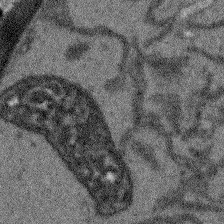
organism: Arabidopsis thaliana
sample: Root tip